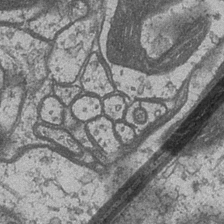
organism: Drosophila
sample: Optic medulla